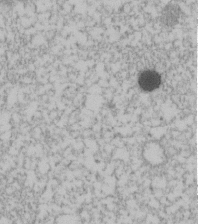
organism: Human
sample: U2-OS cells